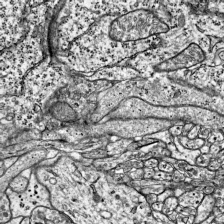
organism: Mouse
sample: Visual Cortex